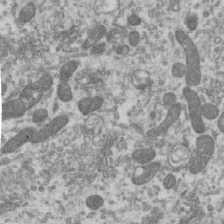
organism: Human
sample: Centriole in RPE cells